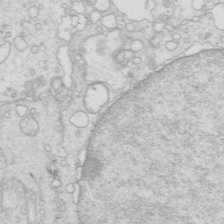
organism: Mouse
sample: Multiciliated cells